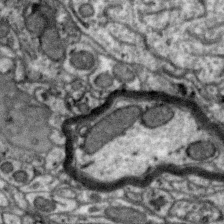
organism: Zebra finch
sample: Brain